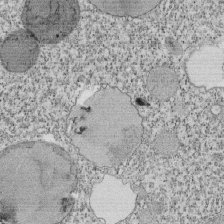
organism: Tetrahymena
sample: Cilia in tetrahymena